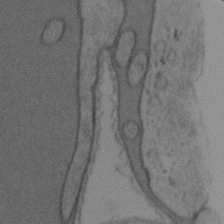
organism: Human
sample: HeLa cells